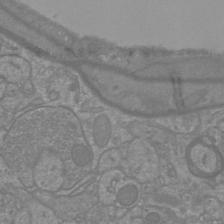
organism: Mouse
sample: Cortical neurons